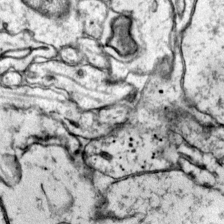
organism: Mouse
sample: Primary visual cortex